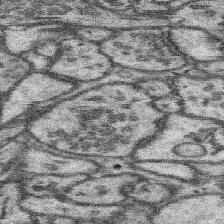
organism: Mouse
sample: Somatosensory cortex neuropil